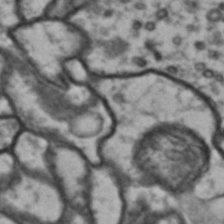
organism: Drosophila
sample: Brain